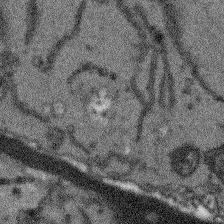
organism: Arabidopsis thaliana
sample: Root tip